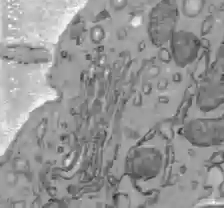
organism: C57BL Mouse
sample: Liver